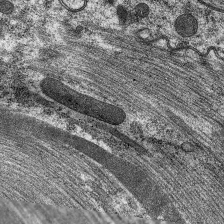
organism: C. elegans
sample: Pharynx